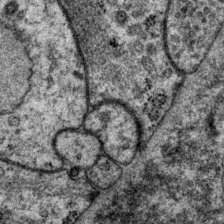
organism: P. pacificus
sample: Pharynx